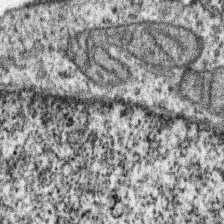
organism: Human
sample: HeLa cells